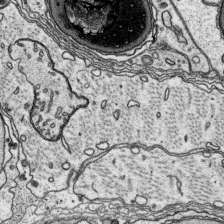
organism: Platynereis dumerilii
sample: Parapodia